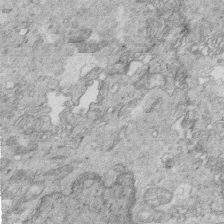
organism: Mouse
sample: Multiciliated cells